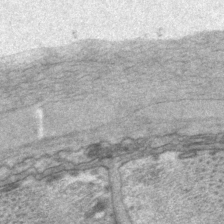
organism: P. pacificus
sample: Pharynx